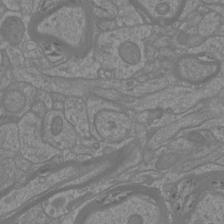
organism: Mouse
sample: Cortical neurons